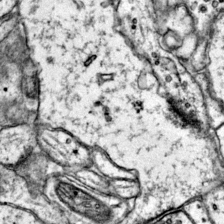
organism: Mouse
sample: Primary visual cortex